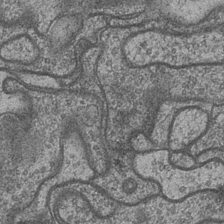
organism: Drosophila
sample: Optic medulla